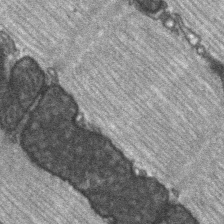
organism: C57BL Mouse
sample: Soleus